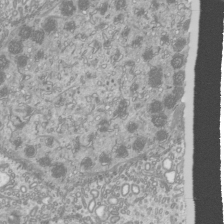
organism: Mouse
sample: Cilia; mouse epididymis